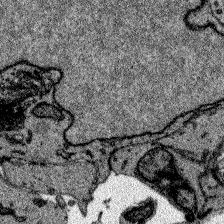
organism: Zebrafish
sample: Larval olfactory bulb